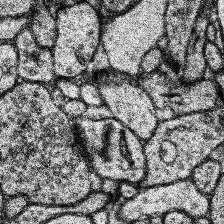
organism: Human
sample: Temporal Lobe